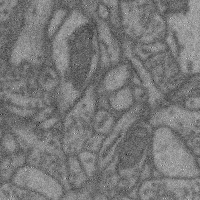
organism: Mouse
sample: Cerebral cortex